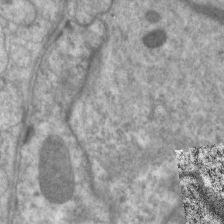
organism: C. elegans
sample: Pharynx